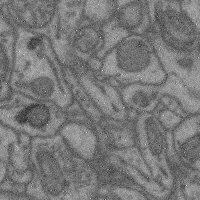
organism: Mouse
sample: Cerebral cortex